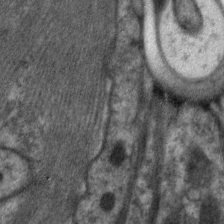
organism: C. elegans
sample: Pharynx